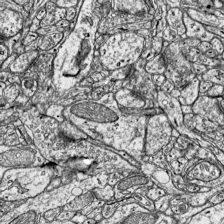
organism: Mouse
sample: Visual Cortex